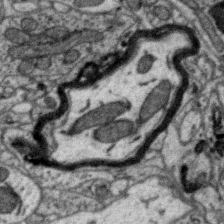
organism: Zebra finch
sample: Brain